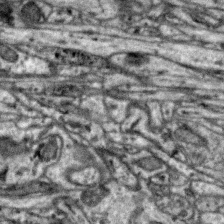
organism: Zebra finch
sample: Brain